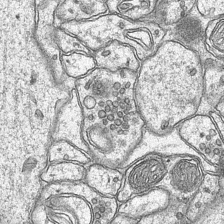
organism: Mouse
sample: CA1 Hippocampus